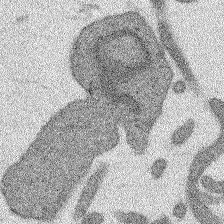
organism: Human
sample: HeLa cells